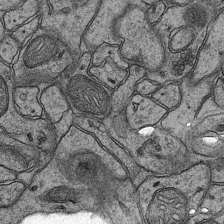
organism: Mouse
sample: CA1 Hippocampus